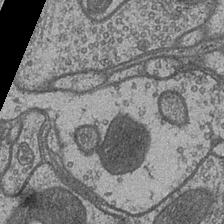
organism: Drosophila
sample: Optic medulla